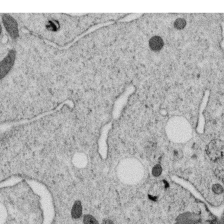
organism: C. elegans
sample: C. elegans oocyte; sperm cells